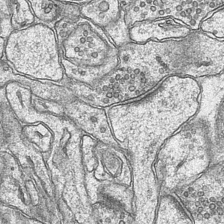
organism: Mouse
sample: CA1 Hippocampus